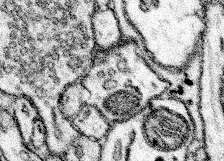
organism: Mouse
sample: Somatosensory cortex neuropil